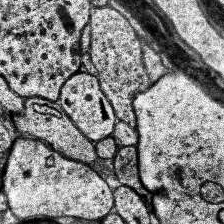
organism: Human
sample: Temporal Lobe